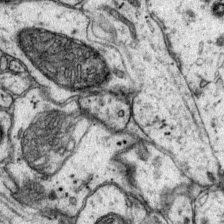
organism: Mouse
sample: Primary visual cortex